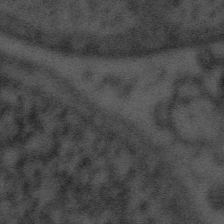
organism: Tuwongella immobilis